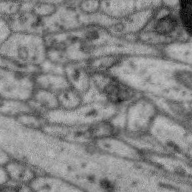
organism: Zebra finch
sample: Brain